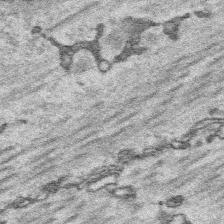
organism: Platynereis dumerilii